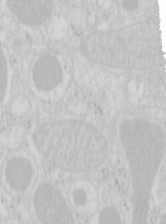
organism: Mouse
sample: Pancreas